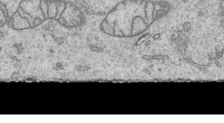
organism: Human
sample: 1205lu cells